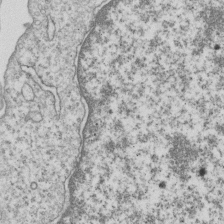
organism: Human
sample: MDA-MB-231 cells